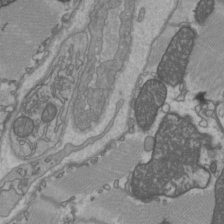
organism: C57BL Mouse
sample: Heart